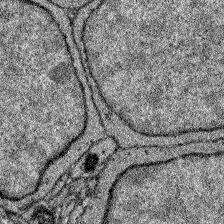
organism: Zebrafish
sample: Larval olfactory bulb